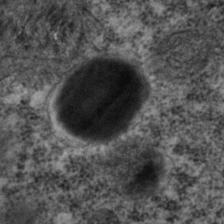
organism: C. elegans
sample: C. elegans embryo